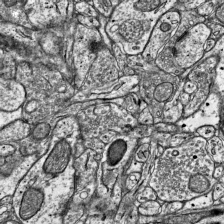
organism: Mouse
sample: Visual Cortex